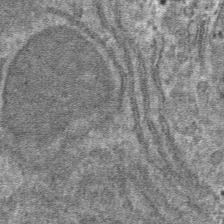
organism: Mouse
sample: Mouse hepatocytes